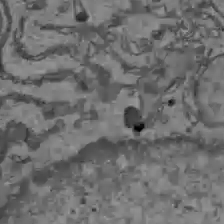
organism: C57BL Mouse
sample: Liver